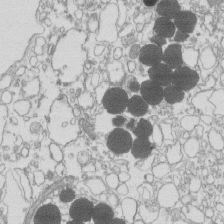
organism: Mouse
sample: Macrophages